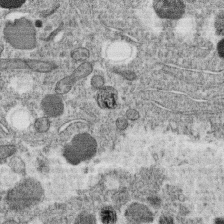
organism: C. elegans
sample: C. elegans oocyte; sperm cells